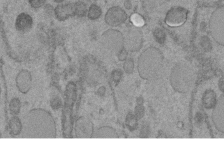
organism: C. elegans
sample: C. elegans embryo early stage